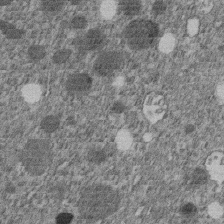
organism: C. elegans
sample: C. elegans embryo early stage